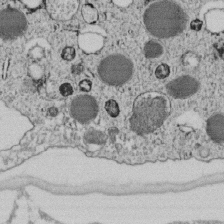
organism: C. elegans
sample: C. elegans embryo early stage